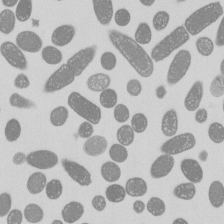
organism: E. coli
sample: Bacterial nucleoid